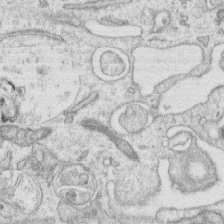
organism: Human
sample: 1205lu cells